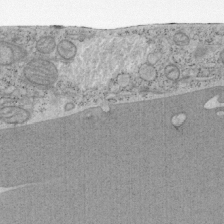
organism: Human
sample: HeLa cells